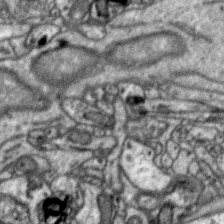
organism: Zebra finch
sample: Brain